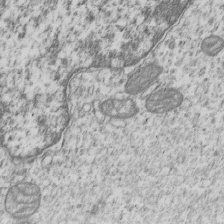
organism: Human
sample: MDA-MB-231 cells